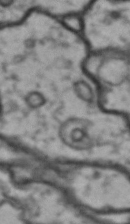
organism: Drosophila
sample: Brain